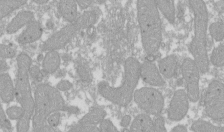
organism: Xenopus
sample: Cilia; centrioles in frog embryo cells